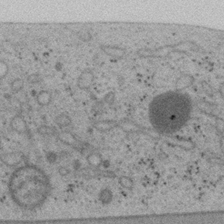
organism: Human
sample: HeLa cells